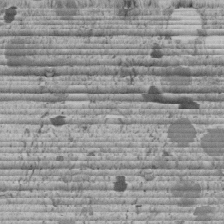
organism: C. elegans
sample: C. elegans embryo early stage